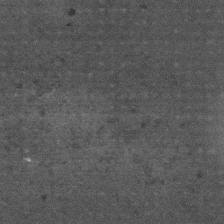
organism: Mouse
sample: Centriole in ependymal cells